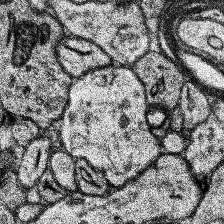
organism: Human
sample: Temporal Lobe